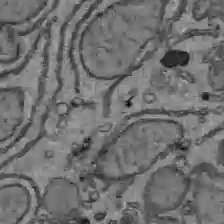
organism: C57BL Mouse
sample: Liver